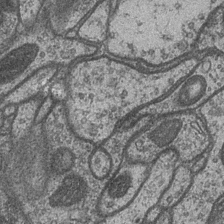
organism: Drosophila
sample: Optic medulla